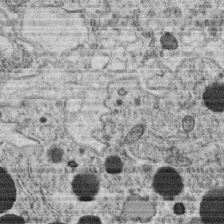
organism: C. elegans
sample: C. elegans oocyte; sperm cells